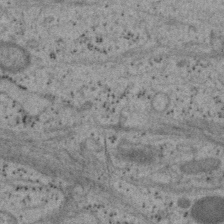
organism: Human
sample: HeLa cells